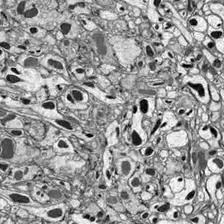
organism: Drosophila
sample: Optic lobe